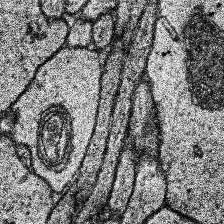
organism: Human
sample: Temporal Lobe